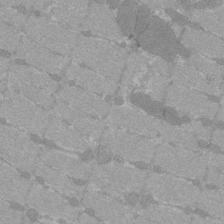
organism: C57BL Mouse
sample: Tibialis anterior muscle cell